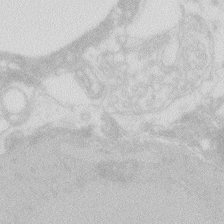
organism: Zebrafish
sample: Macrophage